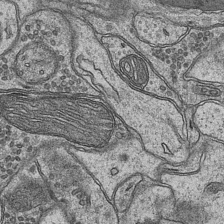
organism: Mouse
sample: CA1 Hippocampus